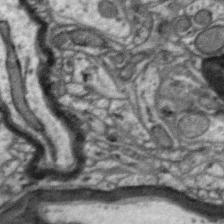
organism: Zebra finch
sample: Brain